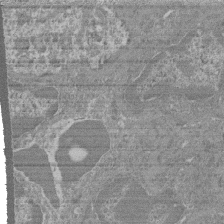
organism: Mouse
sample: Glomerulus